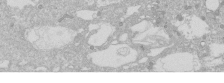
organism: Human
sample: Caco-2 cells